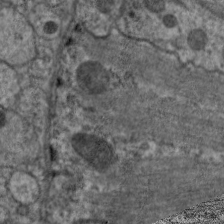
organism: C. elegans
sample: Pharynx